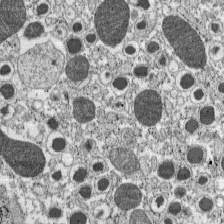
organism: C57BL Mouse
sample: Pancreatic islet